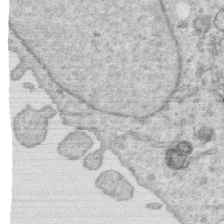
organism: Human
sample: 1205lu cells